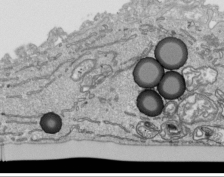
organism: Human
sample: Mitochondria in HCT116 cells